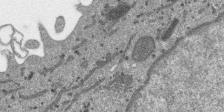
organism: Human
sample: Lung epithelial cells infected with SARS-CoV-2